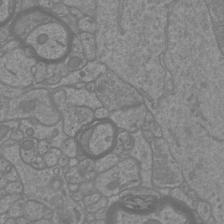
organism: Mouse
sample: Cortical neurons